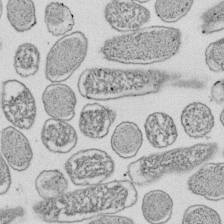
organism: E. coli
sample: Bacterial nucleoid